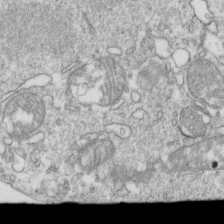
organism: Mouse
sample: Activated OT-1 CD8+ T cells